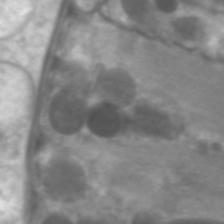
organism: C. elegans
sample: Pharynx